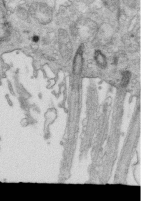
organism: Mouse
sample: Multiciliated cells